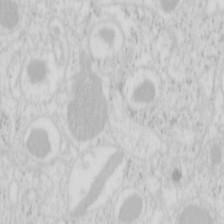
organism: Mouse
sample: Pancreas